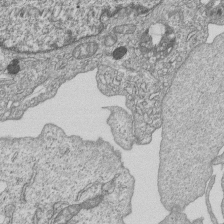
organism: Human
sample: MDA-MB-231 cells